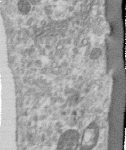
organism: Human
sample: Centriole in RPE cells